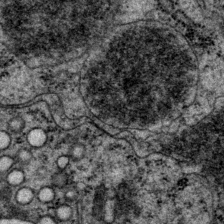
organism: P. pacificus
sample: Pharynx